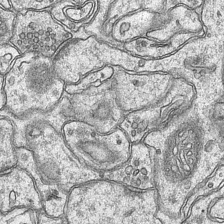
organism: Mouse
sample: CA1 Hippocampus